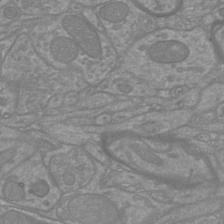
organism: Mouse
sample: Cortical neurons